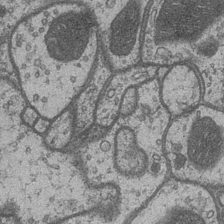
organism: Drosophila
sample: Optic medulla